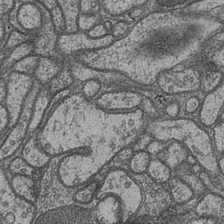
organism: Drosophila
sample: Optic medulla